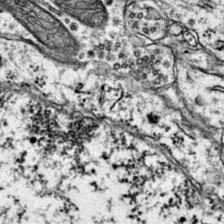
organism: Mouse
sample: Primary visual cortex